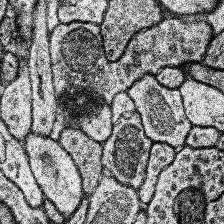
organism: Human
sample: Temporal Lobe